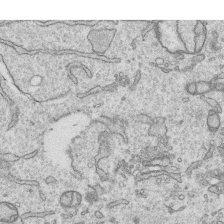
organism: Human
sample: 1205lu cells